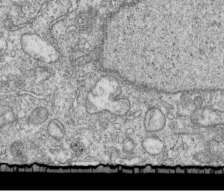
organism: Human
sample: HeLa cell HIV synapse